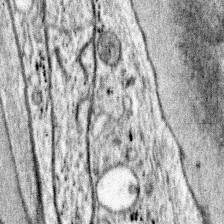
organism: Human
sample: HeLa cells